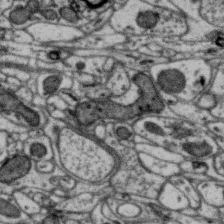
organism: Zebra finch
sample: Brain